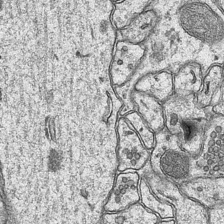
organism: Mouse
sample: CA1 Hippocampus